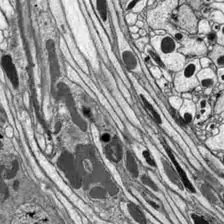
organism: Drosophila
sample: Optic lobe